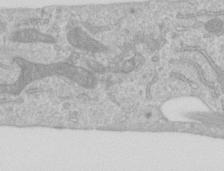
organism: Human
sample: Centriole in RPE cells